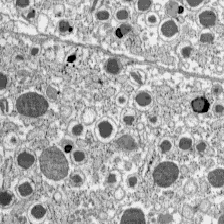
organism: C57BL Mouse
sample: Pancreatic islet